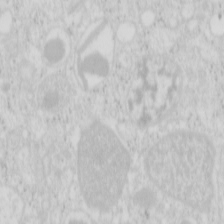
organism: Mouse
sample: Pancreas